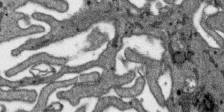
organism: Human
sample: Lung epithelial cells, uninfected (mock) control